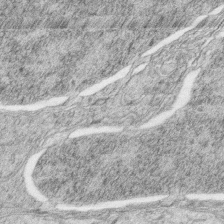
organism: Zebrafish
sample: synaptic ribbons in rod cells and cone cells